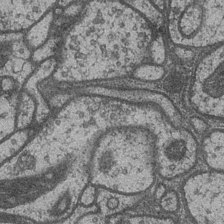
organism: Drosophila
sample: Optic medulla